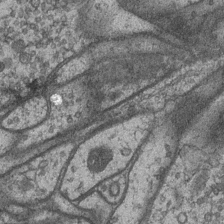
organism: Drosophila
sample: Optic medulla